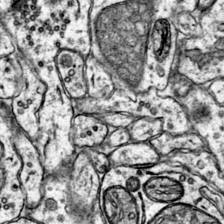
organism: Mouse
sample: Primary visual cortex